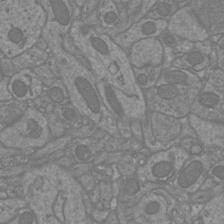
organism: Mouse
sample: Cortical neurons